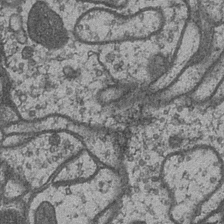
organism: Drosophila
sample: Optic medulla